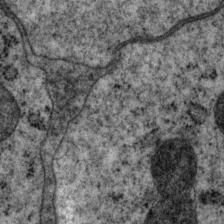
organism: P. pacificus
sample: Pharynx